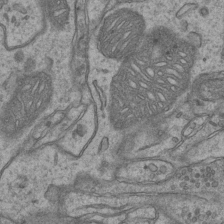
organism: Mouse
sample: CA1 Hippocampus